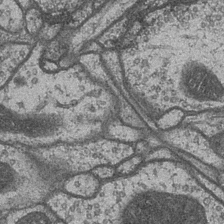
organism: Drosophila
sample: Optic medulla